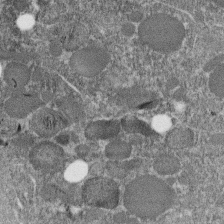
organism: C. elegans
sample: C. elegans embryo early stage